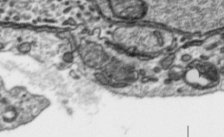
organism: Toxoplasma gondii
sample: Parasites in a vacuole inside a host cell